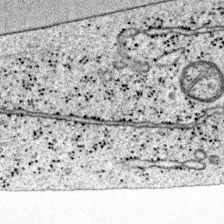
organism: Human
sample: HeLa cells